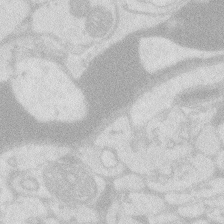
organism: Zebrafish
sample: Macrophage